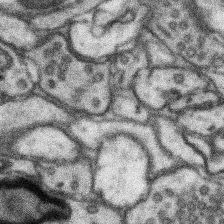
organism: Mouse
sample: Somatosensory cortex neuropil